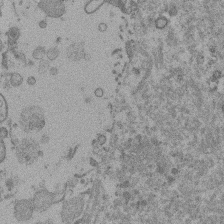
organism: Mouse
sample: Dividing mouse embryo 1 cell stage